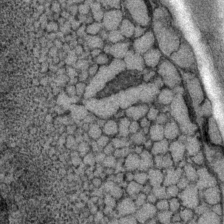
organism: P. pacificus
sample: Pharynx